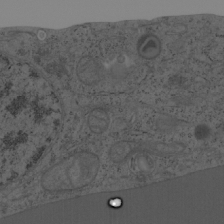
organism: Human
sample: HeLa cells